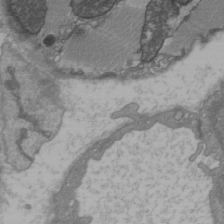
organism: C57BL Mouse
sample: Heart